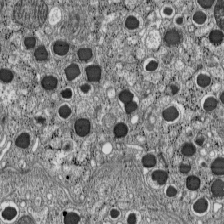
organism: C57BL Mouse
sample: Pancreatic islet